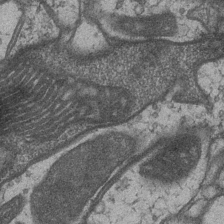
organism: Drosophila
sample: Optic medulla